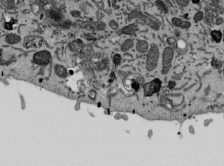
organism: Mouse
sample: ED-1 cell nuclei; centrioles